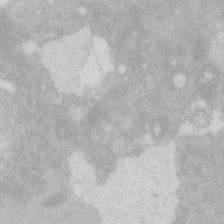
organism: Zebrafish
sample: Macrophage